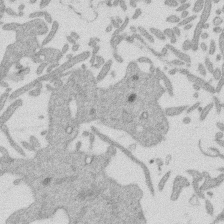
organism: Mouse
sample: Dividing mouse embryo 1 cell stage